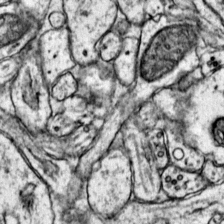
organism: Mouse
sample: Primary visual cortex